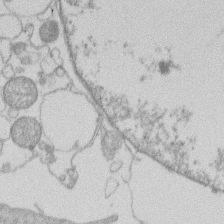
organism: Human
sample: Macrophage cells